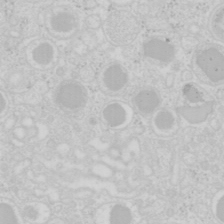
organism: Mouse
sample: Pancreas